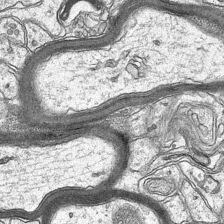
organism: Mouse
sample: CA1 Hippocampus